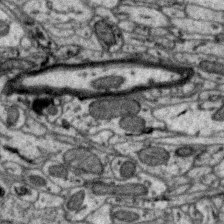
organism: Zebra finch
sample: Brain